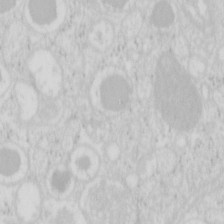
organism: Mouse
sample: Pancreas